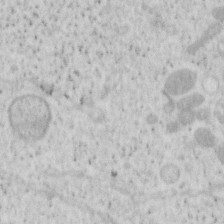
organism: Human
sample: HeLa cells